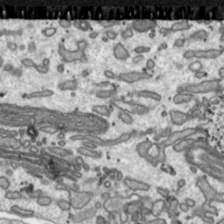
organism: Toxoplasma gondii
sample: Parasites in a vacuole inside a host cell